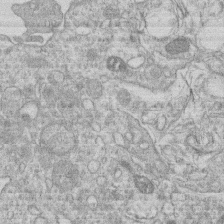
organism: Human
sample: Macrophage cells